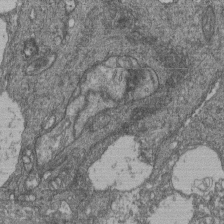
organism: Human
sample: Retinal organoid Rod and Cone cells